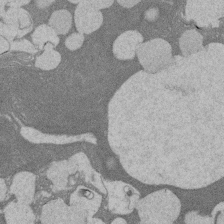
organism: Rat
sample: Salivary granule